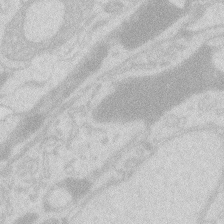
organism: Zebrafish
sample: Macrophage